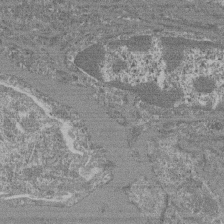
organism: Mouse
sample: Glomerulus